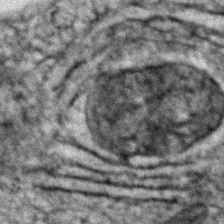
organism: Zebrafish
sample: Zebrafish embryo